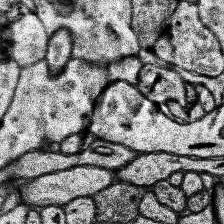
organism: Human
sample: Temporal Lobe